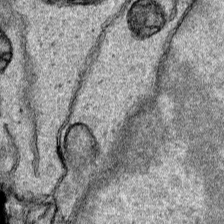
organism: Human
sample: Mitochondria in HCT116 cells